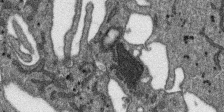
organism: Human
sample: Lung epithelial cells infected with SARS-CoV-2